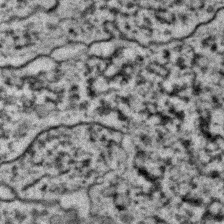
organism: C. elegans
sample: C. elegans embryo